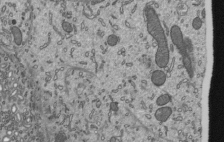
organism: Mouse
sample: Mouse epididymis efferent ductule cilia